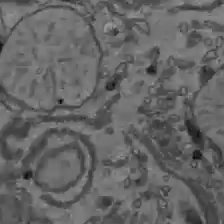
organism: C57BL Mouse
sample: Liver